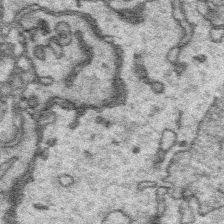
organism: Platynereis dumerilii